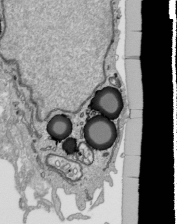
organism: Human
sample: Mitochondria in HCT116 cells